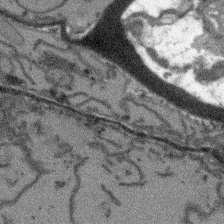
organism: Arabidopsis thaliana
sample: Root tip